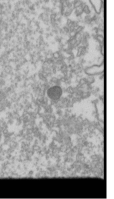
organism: Drosophila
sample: Cell division; meiosis; drosophila spermatocytes